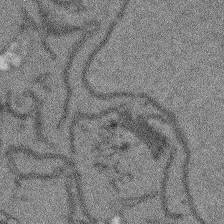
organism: Arabidopsis thaliana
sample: Root tip